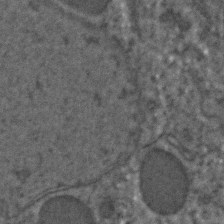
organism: C. elegans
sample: C. elegans embryo